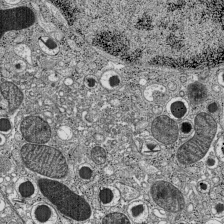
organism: C57BL Mouse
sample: Pancreatic islet